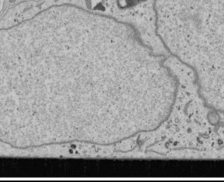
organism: Human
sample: Mitochondria in U2OS cells